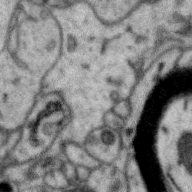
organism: Zebra finch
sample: Brain